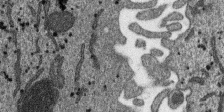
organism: Human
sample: Lung epithelial cells infected with SARS-CoV-2